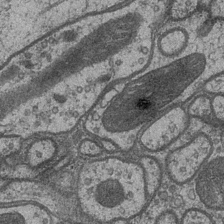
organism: Drosophila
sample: Optic medulla